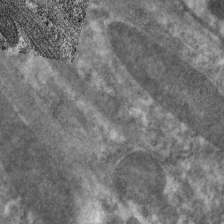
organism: C. elegans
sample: Pharynx